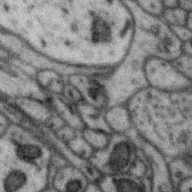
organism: Zebra finch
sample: Brain